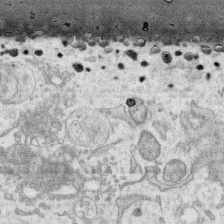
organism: Human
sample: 1205lu cells